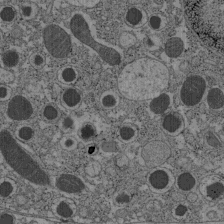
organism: C57BL Mouse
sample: Pancreatic islet